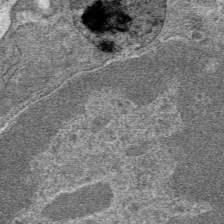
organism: Mouse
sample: Mouse hepatocytes